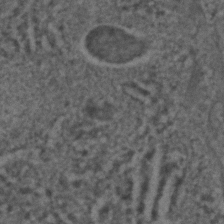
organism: C. elegans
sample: C. elegans embryo